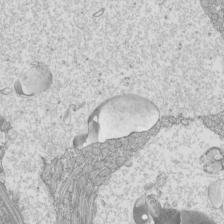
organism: Mouse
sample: Cilia; mouse epididymis